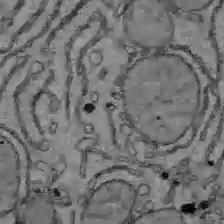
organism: C57BL Mouse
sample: Liver